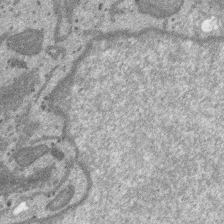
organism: Human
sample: Lung epithelial cells infected with SARS-CoV-2